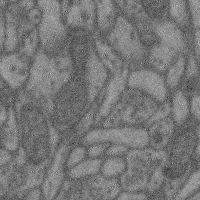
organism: Mouse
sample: Cerebral cortex